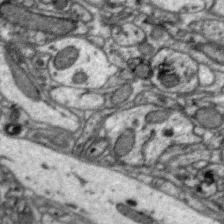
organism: Zebra finch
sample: Brain